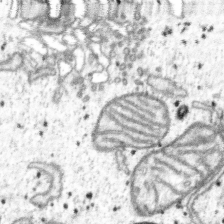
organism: Human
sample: HeLa cells